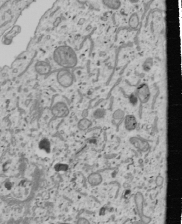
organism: Human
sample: Mitochondria in U2OS cells